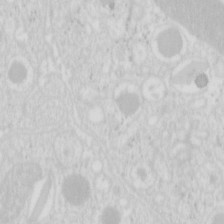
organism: Mouse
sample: Pancreas